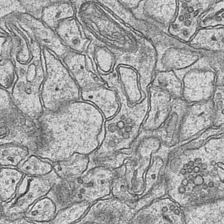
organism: Mouse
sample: CA1 Hippocampus